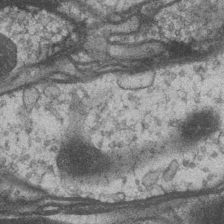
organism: Drosophila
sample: Optic medulla